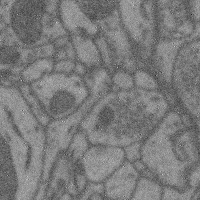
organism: Mouse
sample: Cerebral cortex